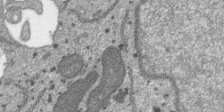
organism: Human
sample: Lung epithelial cells infected with SARS-CoV-2